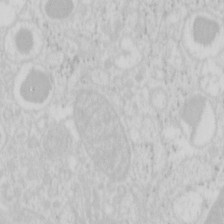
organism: Mouse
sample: Pancreas